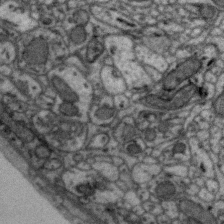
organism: Zebra finch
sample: Brain